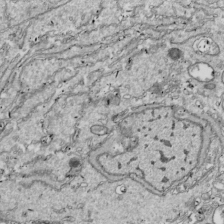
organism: Drosophila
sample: Cell division; meiosis; drosophila spermatocytes